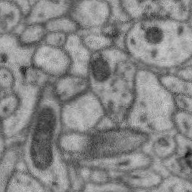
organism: Zebra finch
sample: Brain